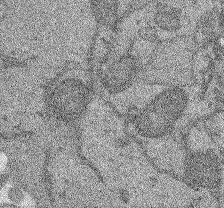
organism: Human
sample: HeLa cells